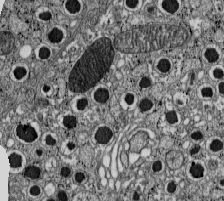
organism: C57BL Mouse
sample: Pancreatic islet